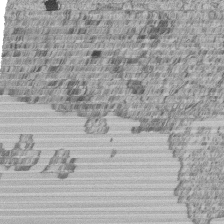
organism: Human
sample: MDA-MB-231 cells